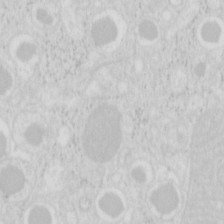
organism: Mouse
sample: Pancreas